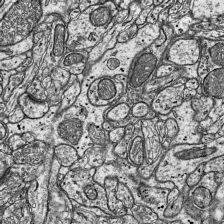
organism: Mouse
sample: Visual Cortex